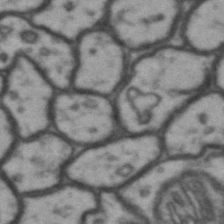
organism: Drosophila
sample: Brain